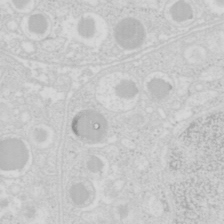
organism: Mouse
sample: Pancreas